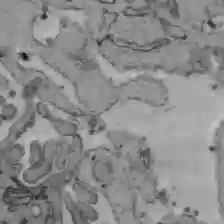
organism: C57BL Mouse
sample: Liver